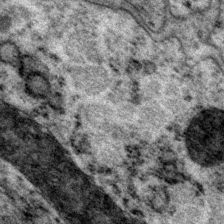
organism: P. pacificus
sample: Pharynx